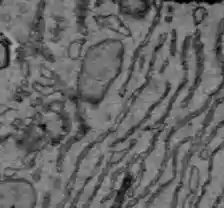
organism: C57BL Mouse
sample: Liver